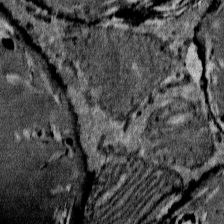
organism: Mouse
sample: Mouse Salivary gland